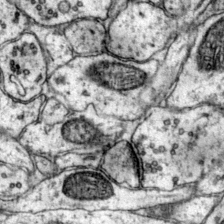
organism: Mouse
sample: Primary visual cortex